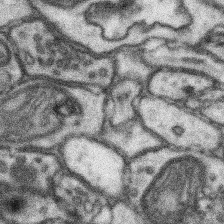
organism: Mouse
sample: Somatosensory cortex neuropil